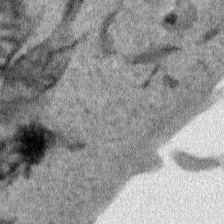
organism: Human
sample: Mitochondria in HCT116 cells